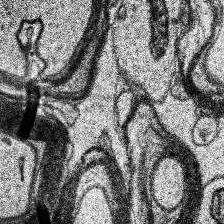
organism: Human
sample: Temporal Lobe